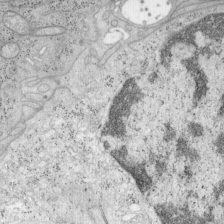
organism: Mouse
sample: OT-I killer T cells with ID8 ovarian cancer cells